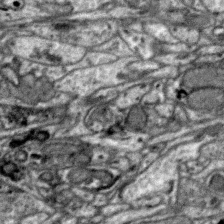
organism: Zebra finch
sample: Brain